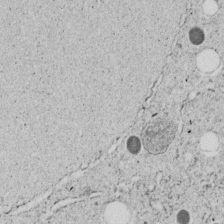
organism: C. elegans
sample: C. elegans embryo early stage